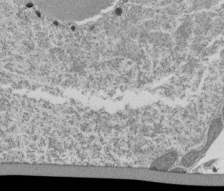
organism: Tetrahymena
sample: Cilia in tetrahymena